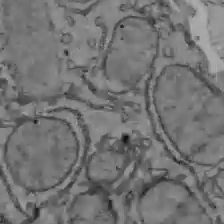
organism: C57BL Mouse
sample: Liver